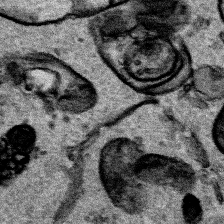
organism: Human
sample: Mitochondria in HCT116 cells